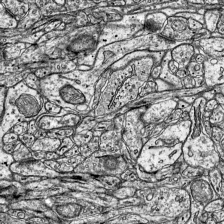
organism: Mouse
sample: Visual Cortex